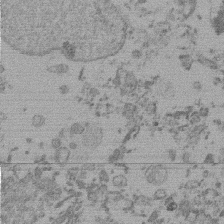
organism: Mouse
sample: Dividing mouse embryo 1 cell stage